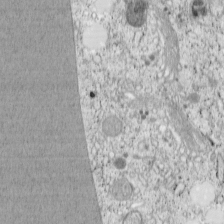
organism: African green monkey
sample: COS-7 cells